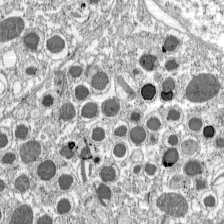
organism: C57BL Mouse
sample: Pancreatic islet